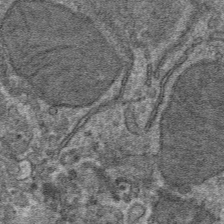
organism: Mouse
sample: Mouse hepatocytes